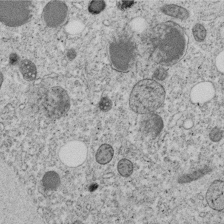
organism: C. elegans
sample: C. elegans embryo early stage